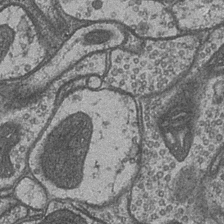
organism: Drosophila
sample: Optic medulla